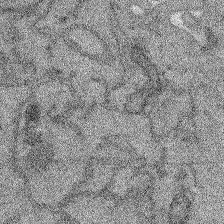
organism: Human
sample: HeLa cells